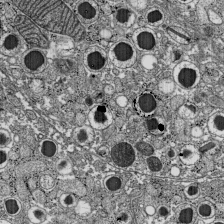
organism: C57BL Mouse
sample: Pancreatic islet